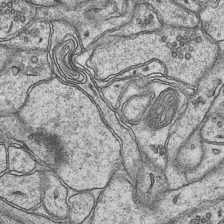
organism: Mouse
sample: CA1 Hippocampus